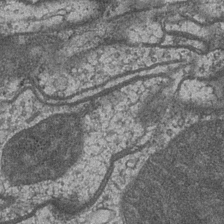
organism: Drosophila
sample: Optic medulla